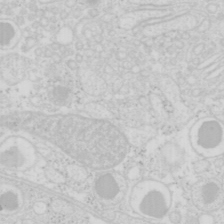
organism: Mouse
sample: Pancreas